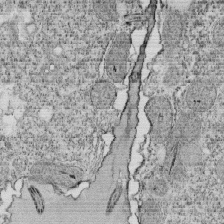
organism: Tetrahymena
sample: Cilia in tetrahymena